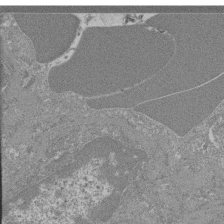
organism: Mouse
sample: Glomerulus